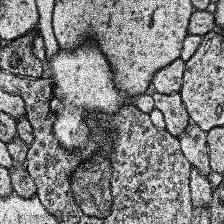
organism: Human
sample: Temporal Lobe